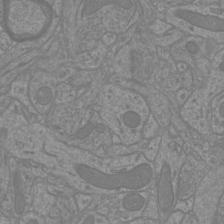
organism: Mouse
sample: Cortical neurons